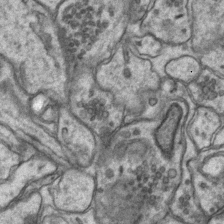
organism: Mouse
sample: CA1 Hippocampus